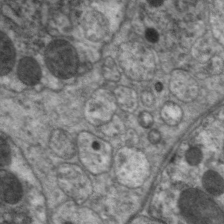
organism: C. elegans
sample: Pharynx